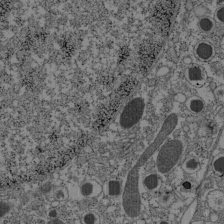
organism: C57BL Mouse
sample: Pancreatic islet